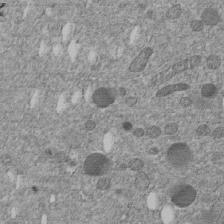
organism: C. elegans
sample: C. elegans embryo early stage